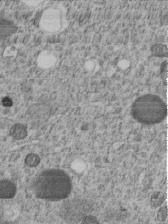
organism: C. elegans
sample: C. elegans embryo early stage